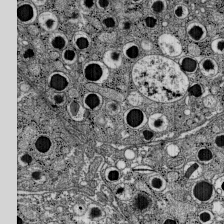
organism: C57BL Mouse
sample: Pancreatic islet